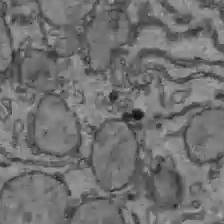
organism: C57BL Mouse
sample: Liver